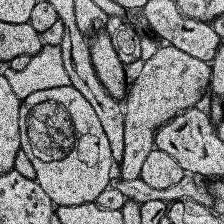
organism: Human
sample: Temporal Lobe